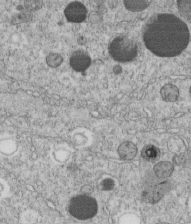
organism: C. elegans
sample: C. elegans embryo early stage